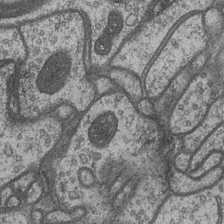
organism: Drosophila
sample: Optic medulla